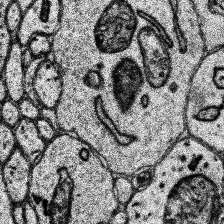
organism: Human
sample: Temporal Lobe